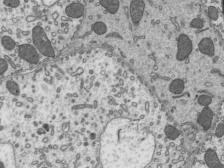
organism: Mouse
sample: Mouse epididymis efferent ductule cilia